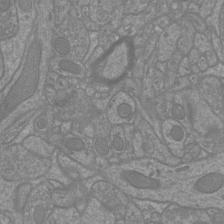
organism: Mouse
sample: Cortical neurons